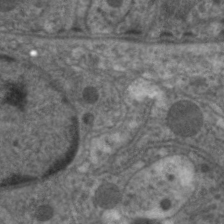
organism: C. elegans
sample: Pharynx